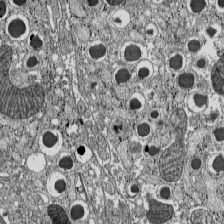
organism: C57BL Mouse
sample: Pancreatic islet